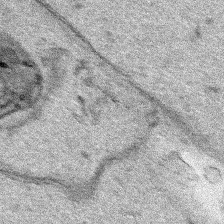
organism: Human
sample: Mitochondria in HCT116 cells